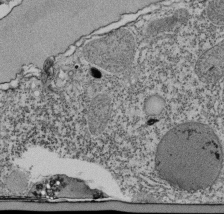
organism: Tetrahymena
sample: Cilia in tetrahymena